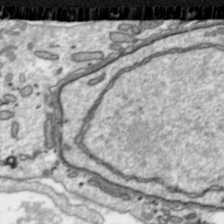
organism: Toxoplasma gondii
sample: Parasites in a vacuole inside a host cell